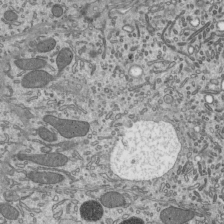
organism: Mouse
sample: Mouse epididymis efferent ductule cilia